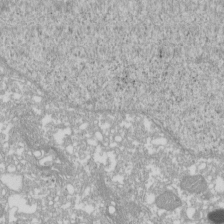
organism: Xenopus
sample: Cilia; centrioles in frog embryo cells